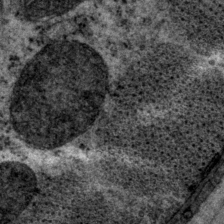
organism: P. pacificus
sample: Pharynx